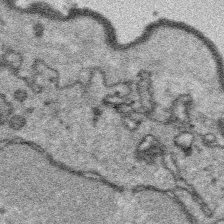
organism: Platynereis dumerilii